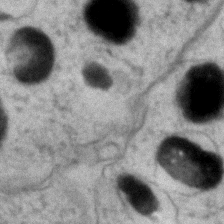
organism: Zebrafish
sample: Zebrafish embryo